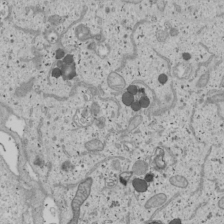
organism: Human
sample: Mitochondria in U2OS cells